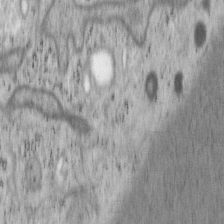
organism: Human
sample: HeLa cells